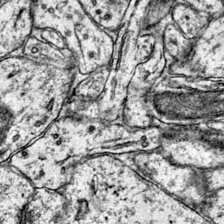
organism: Mouse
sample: Primary visual cortex